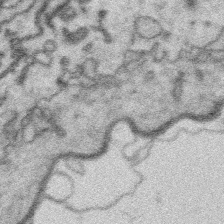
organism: Platynereis dumerilii